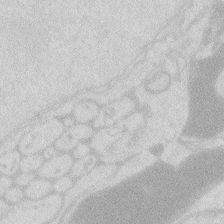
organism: Zebrafish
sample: Macrophage